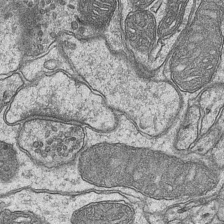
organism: Mouse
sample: CA1 Hippocampus